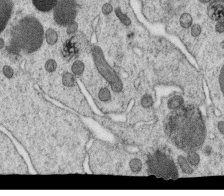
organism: C. elegans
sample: C. elegans oocyte; sperm cells